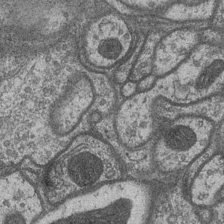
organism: Drosophila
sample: Optic medulla